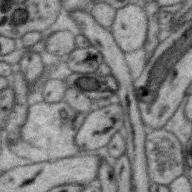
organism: Zebra finch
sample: Brain